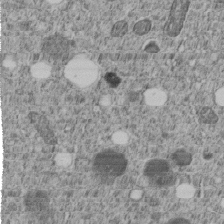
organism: C. elegans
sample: C. elegans embryo early stage